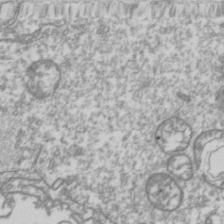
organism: Drosophila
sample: Cell division; meiosis; drosophila spermatocytes